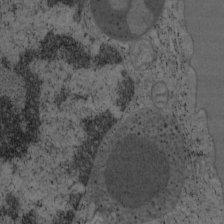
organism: Mouse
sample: OT-I killer T cells with ID8 ovarian cancer cells